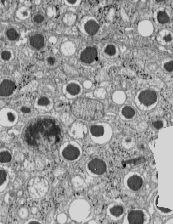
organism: C57BL Mouse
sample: Pancreatic islet